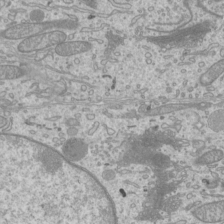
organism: Mouse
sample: Cilia; mouse epididymis